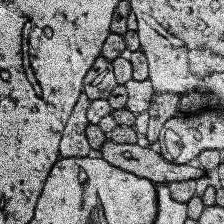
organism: Human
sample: Temporal Lobe